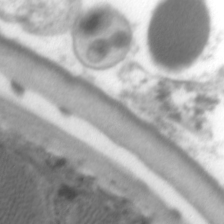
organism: C. elegans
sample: Pharynx